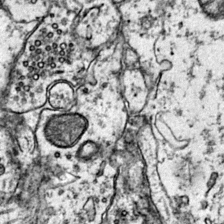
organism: Mouse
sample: Primary visual cortex